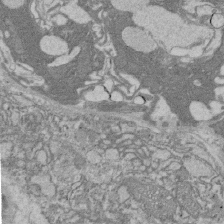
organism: Rat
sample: Salivary granule